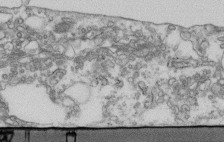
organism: Human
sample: Centriole in fibroblast cells